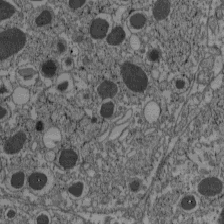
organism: C57BL Mouse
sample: Pancreatic islet